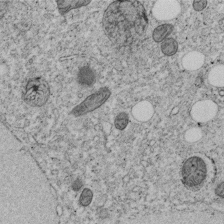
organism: C. elegans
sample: C. elegans embryo early stage